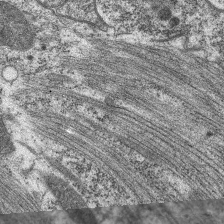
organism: C. elegans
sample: Pharynx